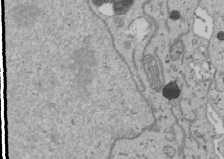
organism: Human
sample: Mitochondria in U2OS cells